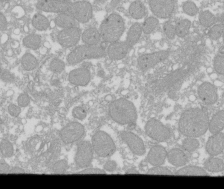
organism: Xenopus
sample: Cilia; centrioles in frog embryo cells